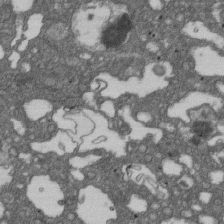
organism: Drosophila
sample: Nephrocyte